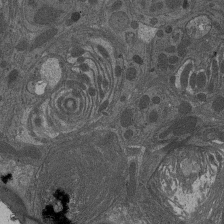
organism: Drosophila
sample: Antenna